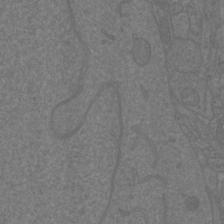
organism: Mouse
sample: Cortical neurons